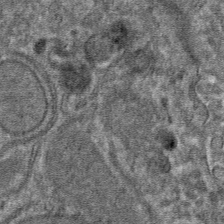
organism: Mouse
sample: Mouse hepatocytes